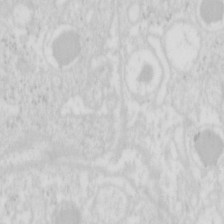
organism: Mouse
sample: Pancreas